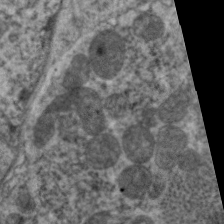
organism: C. elegans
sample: Pharynx